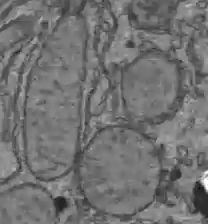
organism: C57BL Mouse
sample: Liver